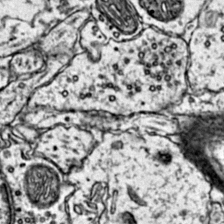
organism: Mouse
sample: Primary visual cortex